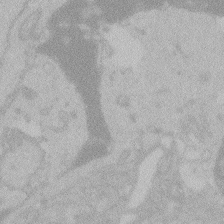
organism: Zebrafish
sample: Macrophage infected with Toxoplasma gondii